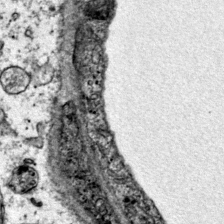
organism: Mouse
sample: Primary visual cortex